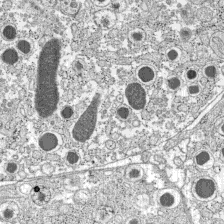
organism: C57BL Mouse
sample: Pancreatic islet